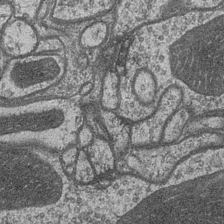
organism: Drosophila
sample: Optic medulla